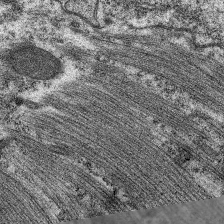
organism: C. elegans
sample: Pharynx